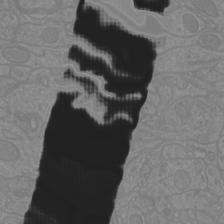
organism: Mouse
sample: Cortical neurons